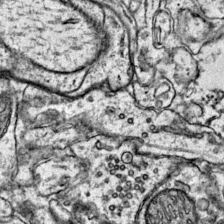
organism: Mouse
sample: Primary visual cortex